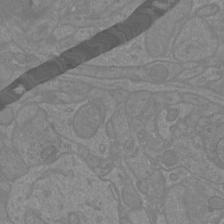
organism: Mouse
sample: Cortical neurons